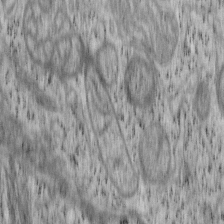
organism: Human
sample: HeLa cells